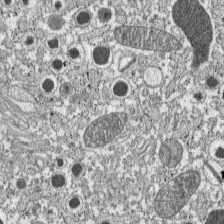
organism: C57BL Mouse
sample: Pancreatic islet